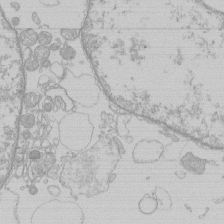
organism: Human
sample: Macrophage cells